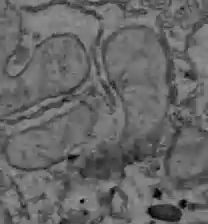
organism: C57BL Mouse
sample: Liver